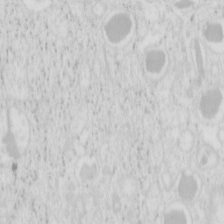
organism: Mouse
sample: Pancreas